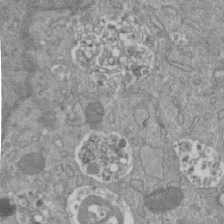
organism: Mouse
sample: ED-1 cell nuclei; centrioles